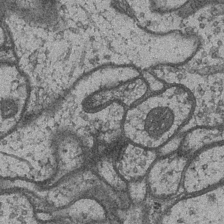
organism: Drosophila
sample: Optic medulla